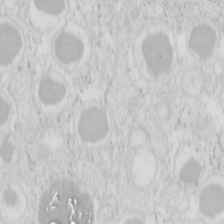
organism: Mouse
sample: Pancreas